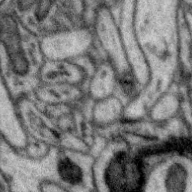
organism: Zebra finch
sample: Brain